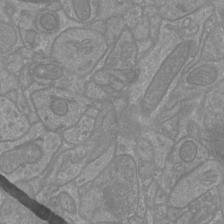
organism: Mouse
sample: Cortical neurons